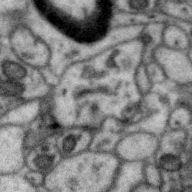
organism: Zebra finch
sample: Brain